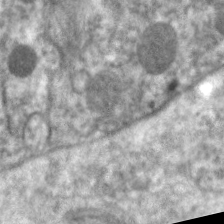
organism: C. elegans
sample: Pharynx